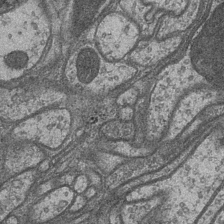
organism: Drosophila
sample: Optic medulla